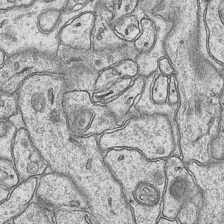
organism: Mouse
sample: CA1 Hippocampus